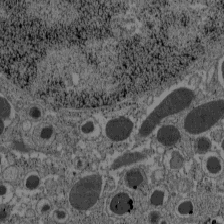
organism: C57BL Mouse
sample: Pancreatic islet